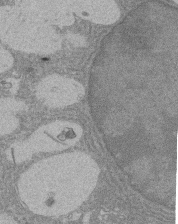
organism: Rat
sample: Salivary granule